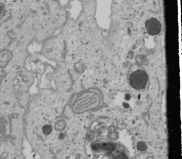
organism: Human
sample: Mitochondria in U2OS cells